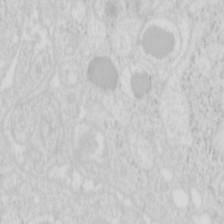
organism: Mouse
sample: Pancreas